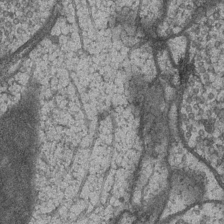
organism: Drosophila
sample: Optic medulla